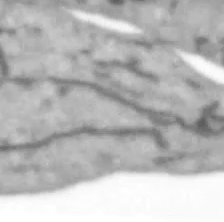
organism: Human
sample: SH-SY5Y cells